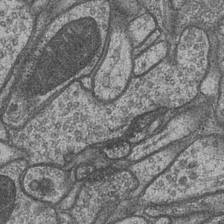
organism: Drosophila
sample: Optic medulla